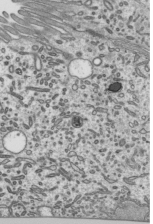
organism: Mouse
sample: Mouse epididymis efferent ductule cilia